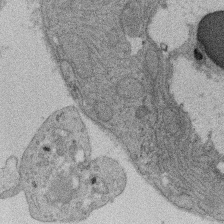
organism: Rat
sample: Salivary granule